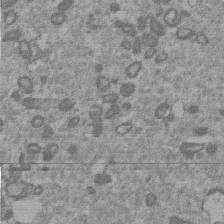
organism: Mouse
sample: Dividing mouse embryo 1 cell stage